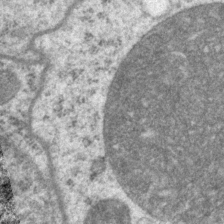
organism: P. pacificus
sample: Pharynx